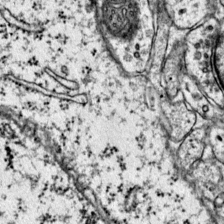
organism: Mouse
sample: Primary visual cortex